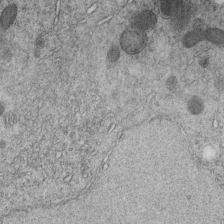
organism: C. elegans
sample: C. elegans embryo early stage